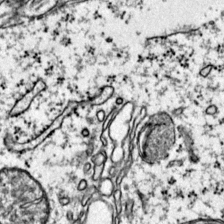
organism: Mouse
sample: Primary visual cortex